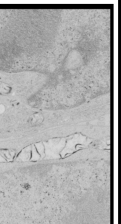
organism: Human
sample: Mitochondria in HCT116 cells